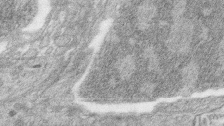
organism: Zebrafish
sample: synaptic ribbons in rod cells and cone cells